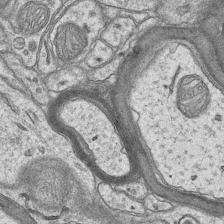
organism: Mouse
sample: CA1 Hippocampus